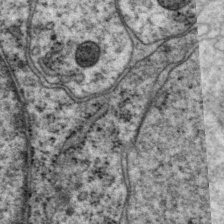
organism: P. pacificus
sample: Pharynx